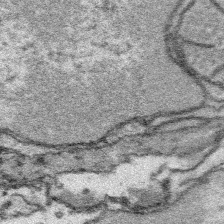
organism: Platynereis dumerilii